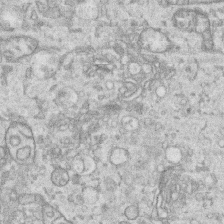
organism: Human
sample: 1205lu cells